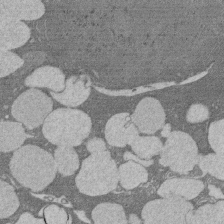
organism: Rat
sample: Salivary granule